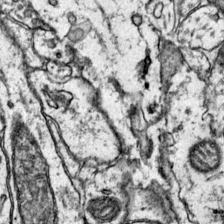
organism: Mouse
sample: Primary visual cortex